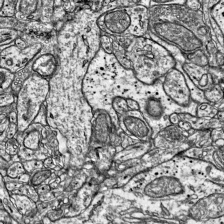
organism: Mouse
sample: Visual Cortex